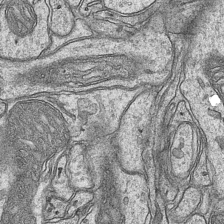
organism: Mouse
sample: CA1 Hippocampus